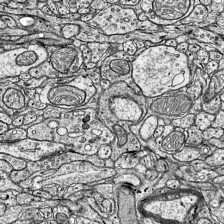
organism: Mouse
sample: Visual Cortex